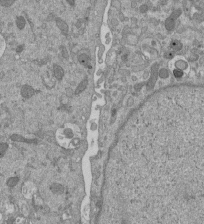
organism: Mouse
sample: ED-1 cell nuclei; centrioles